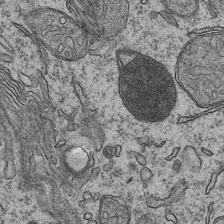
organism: Mouse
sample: CA1 Hippocampus